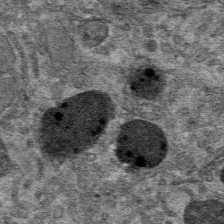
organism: Mouse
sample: Mouse hepatocytes